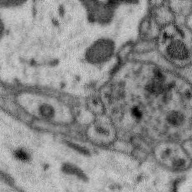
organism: Zebra finch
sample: Brain